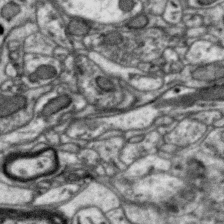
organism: Zebra finch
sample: Brain